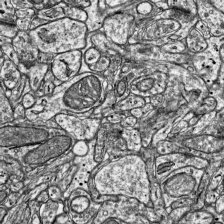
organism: Mouse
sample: Visual Cortex